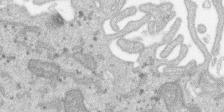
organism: Human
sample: Lung epithelial cells infected with SARS-CoV-2